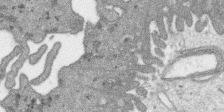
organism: Human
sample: Lung epithelial cells infected with SARS-CoV-2